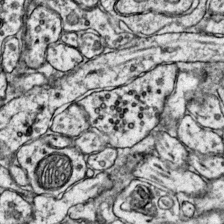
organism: Mouse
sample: Primary visual cortex